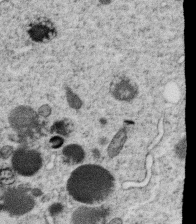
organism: C. elegans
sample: C. elegans oocyte; sperm cells